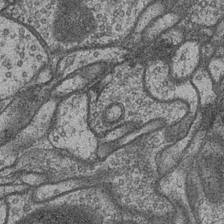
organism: Drosophila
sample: Optic medulla